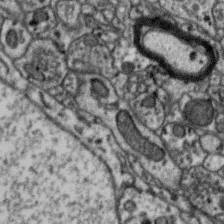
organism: Zebra finch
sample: Brain